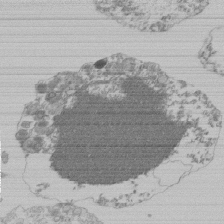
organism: Mouse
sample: Activated Pmel transgenic CD8+ T Cells